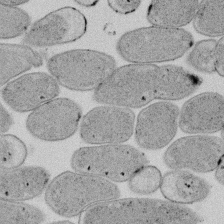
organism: E. coli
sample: Bacterial nucleoid